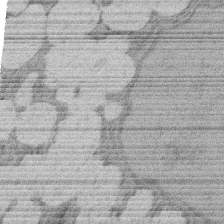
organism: Rat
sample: Salivary granule